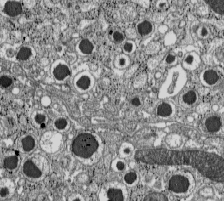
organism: C57BL Mouse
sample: Pancreatic islet